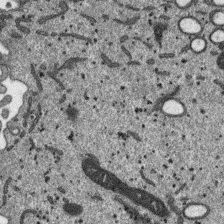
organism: Human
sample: Lung epithelial cells infected with SARS-CoV-2